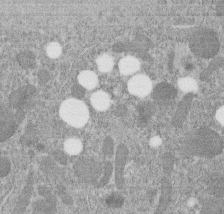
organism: C. elegans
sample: C. elegans embryo early stage